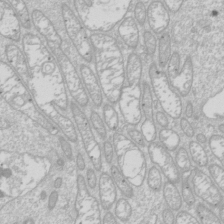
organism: Drosophila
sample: Cell division; meiosis; drosophila spermatocytes